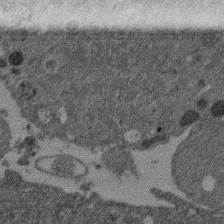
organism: Mouse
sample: Dividing mouse embryo 1 cell stage